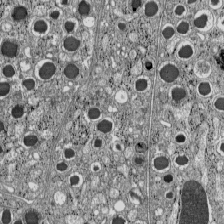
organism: C57BL Mouse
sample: Pancreatic islet